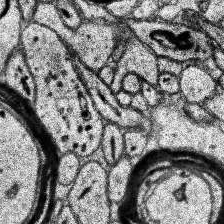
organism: Human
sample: Temporal Lobe